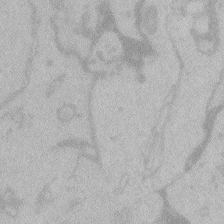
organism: Zebrafish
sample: Macrophage infected with Toxoplasma gondii